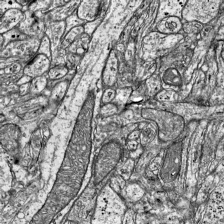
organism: Mouse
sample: Visual Cortex